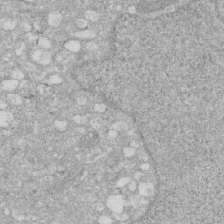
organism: Human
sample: HIV infected U937 cells